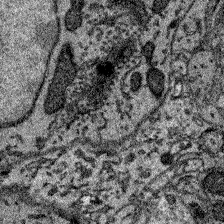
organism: Zebrafish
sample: Larval olfactory bulb